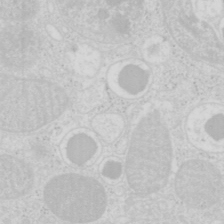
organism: Mouse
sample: Pancreas